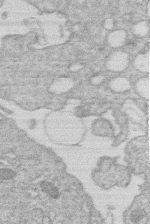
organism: Human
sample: Macrophage cells